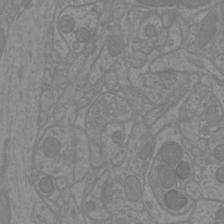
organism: Mouse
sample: Cortical neurons